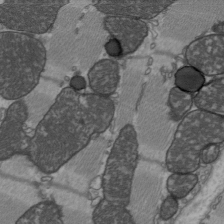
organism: C57BL Mouse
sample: Heart